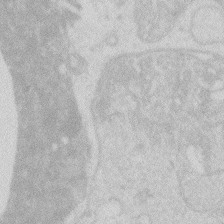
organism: Zebrafish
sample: Macrophage